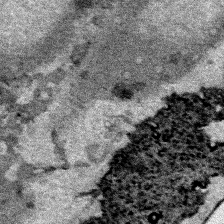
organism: Human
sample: Mitochondria in HCT116 cells